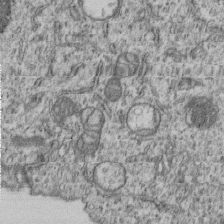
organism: Human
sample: MDA-MB-231 cells